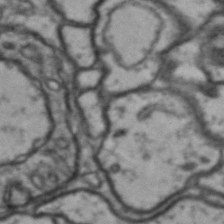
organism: Drosophila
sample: Brain